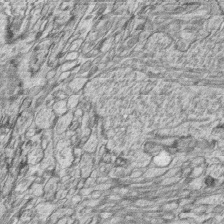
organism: Zebrafish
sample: synaptic ribbons in rod cells and cone cells